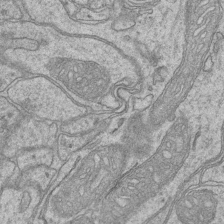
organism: Mouse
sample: CA1 Hippocampus